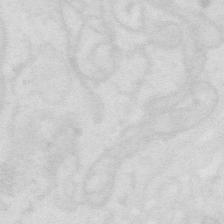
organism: Human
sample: HeLa cells